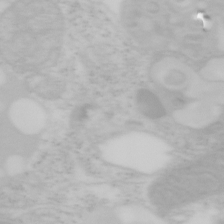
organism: Mouse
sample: OT-I killer T cells with ID8 ovarian cancer cells